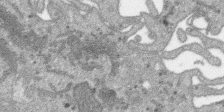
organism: Human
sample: Lung epithelial cells infected with SARS-CoV-2